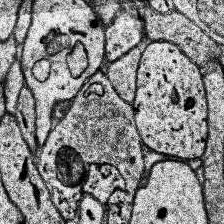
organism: Human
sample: Temporal Lobe